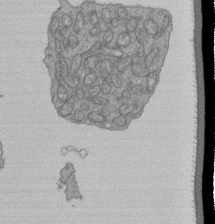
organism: Human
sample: Retinal organoid Rod and Cone cells